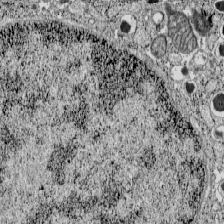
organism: C57BL Mouse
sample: Pancreatic islet